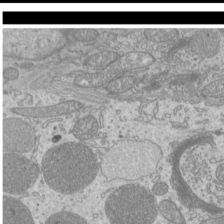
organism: Mouse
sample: Cilia; mouse epididymis